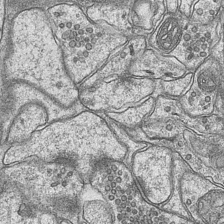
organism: Mouse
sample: CA1 Hippocampus